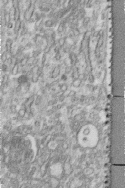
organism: Human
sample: Centriole in fibroblast cells